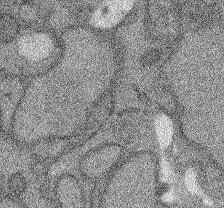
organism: Human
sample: HeLa cells